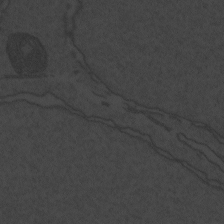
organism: Zebrafish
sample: Macrophage infected with Toxoplasma gondii